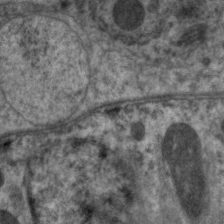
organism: C. elegans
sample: Pharynx